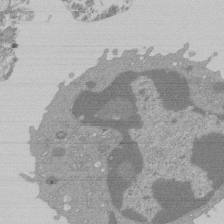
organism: Mouse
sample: Activated Pmel transgenic CD8+ T Cells